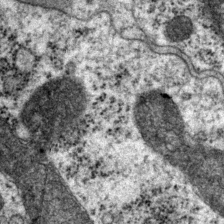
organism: P. pacificus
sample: Pharynx